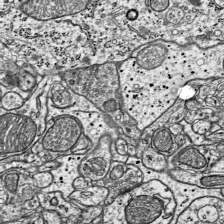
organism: Mouse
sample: Visual Cortex